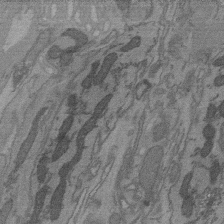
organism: C. elegans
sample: AFD neurons C. elegans